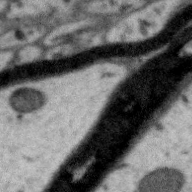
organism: Zebra finch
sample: Brain